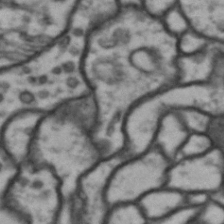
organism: Drosophila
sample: Brain